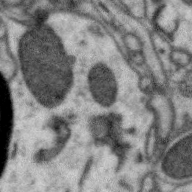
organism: Zebra finch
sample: Brain